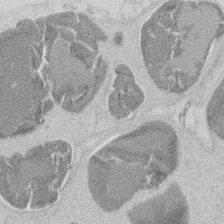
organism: Mouse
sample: T cell stromal cell synapse